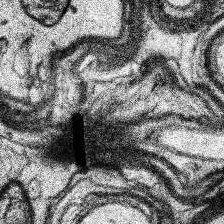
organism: Human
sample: Temporal Lobe